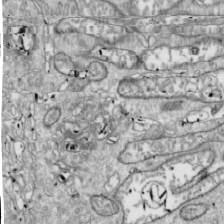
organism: Drosophila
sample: Cell division; meiosis; drosophila spermatocytes